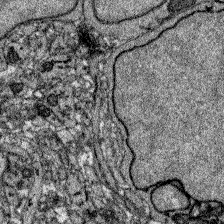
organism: Zebrafish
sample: Larval olfactory bulb